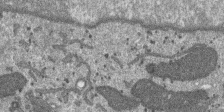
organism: Human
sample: Lung epithelial cells infected with SARS-CoV-2